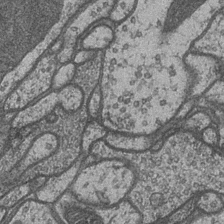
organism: Drosophila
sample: Optic medulla